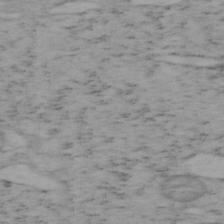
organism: Mouse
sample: OT-I killer T cells with ID8 ovarian cancer cells